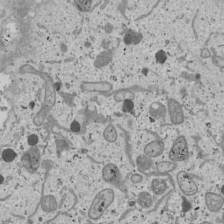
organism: Human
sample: Mitochondria in U2OS cells